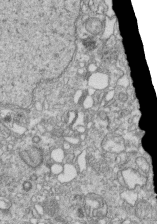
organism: Human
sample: HeLa cell HIV synapse